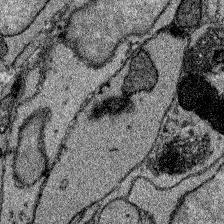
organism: Zebrafish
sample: Larval olfactory bulb